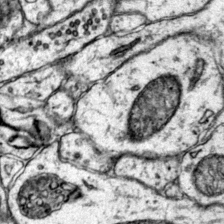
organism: Mouse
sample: Primary visual cortex